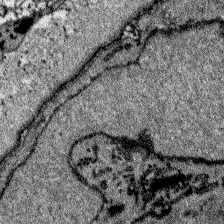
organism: Zebrafish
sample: Larval olfactory bulb